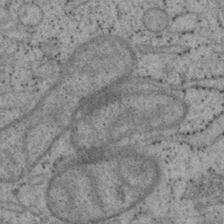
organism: Human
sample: HeLa cells